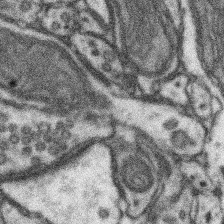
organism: Mouse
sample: Somatosensory cortex neuropil